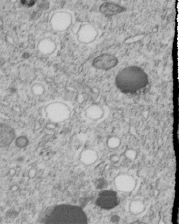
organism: C. elegans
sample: C. elegans embryo early stage